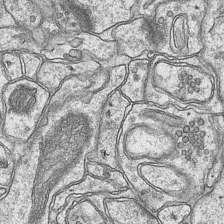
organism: Mouse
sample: CA1 Hippocampus